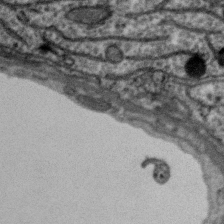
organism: Zebra finch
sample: Brain